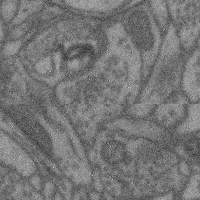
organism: Mouse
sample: Cerebral cortex